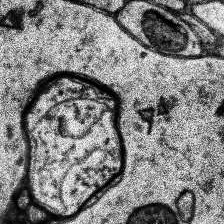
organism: Human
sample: Temporal Lobe